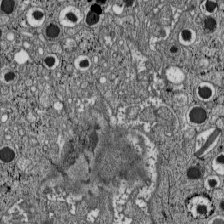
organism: C57BL Mouse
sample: Pancreatic islet